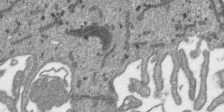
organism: Human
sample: Lung epithelial cells infected with SARS-CoV-2